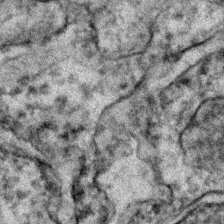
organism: Zebrafish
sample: Zebrafish embryo